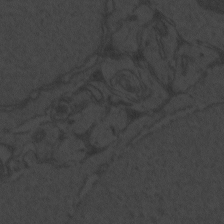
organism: Zebrafish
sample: Macrophage infected with Toxoplasma gondii